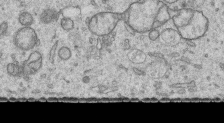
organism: Human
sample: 1205lu cells